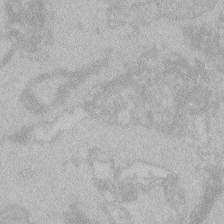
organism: Zebrafish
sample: Macrophage infected with Toxoplasma gondii